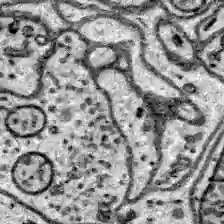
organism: Zebrafish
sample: Brain